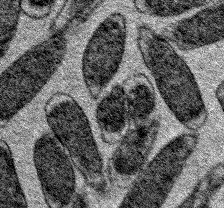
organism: E. coli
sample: E. Coli Bacteria